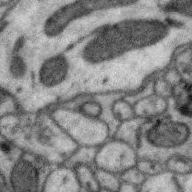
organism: Zebra finch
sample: Brain